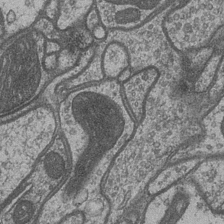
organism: Drosophila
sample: Optic medulla